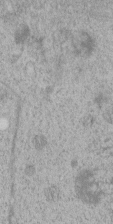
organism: C. elegans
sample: C. elegans embryo early stage